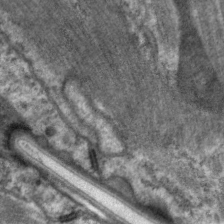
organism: C. elegans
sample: Pharynx